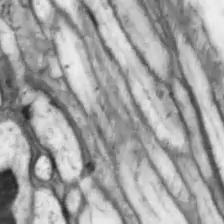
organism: Drosophila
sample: Optic lobe